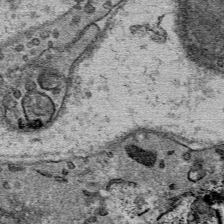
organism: Mouse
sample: Mouse Salivary gland